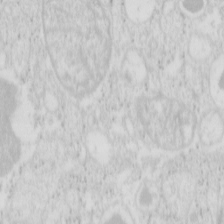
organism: Mouse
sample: Pancreas